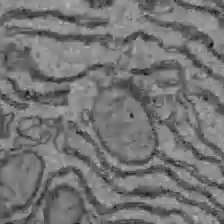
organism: C57BL Mouse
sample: Liver